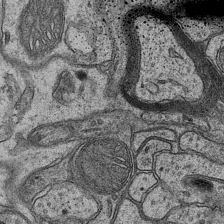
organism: Mouse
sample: CA1 Hippocampus